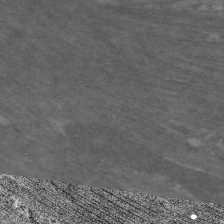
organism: C. elegans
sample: Pharynx